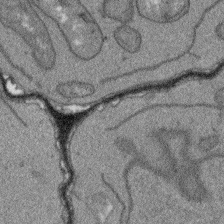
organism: Arabidopsis thaliana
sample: Root tip